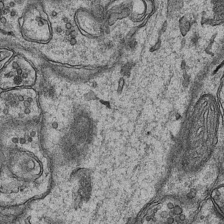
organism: Mouse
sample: CA1 Hippocampus